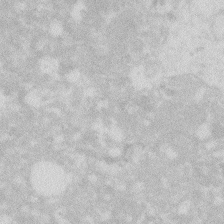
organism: Zebrafish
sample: Macrophage